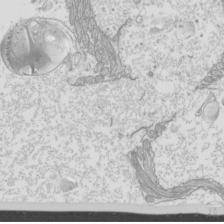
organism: Mouse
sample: Cilia; mouse epididymis